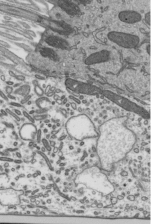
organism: Mouse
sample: Mouse epididymis efferent ductule cilia